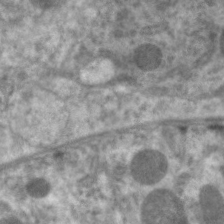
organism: C. elegans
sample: Pharynx